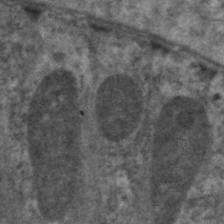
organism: C. elegans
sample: Pharynx